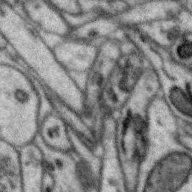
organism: Zebra finch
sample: Brain